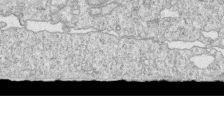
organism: Human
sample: HeLa cell HIV synapse